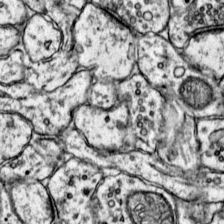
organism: Mouse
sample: Primary visual cortex